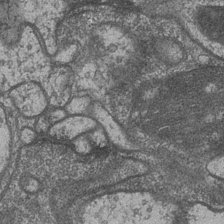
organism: Drosophila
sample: Optic medulla